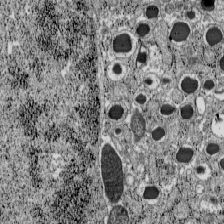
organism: C57BL Mouse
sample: Pancreatic islet